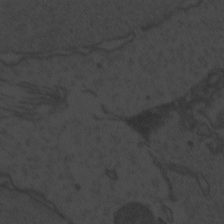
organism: Zebrafish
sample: Macrophage infected with Toxoplasma gondii